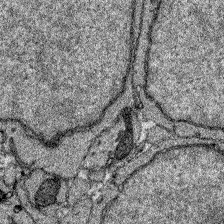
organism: Zebrafish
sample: Larval olfactory bulb